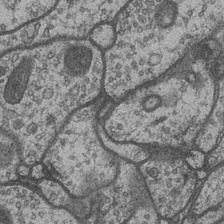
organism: Drosophila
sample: Optic medulla